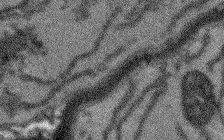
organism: Arabidopsis thaliana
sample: Root tip